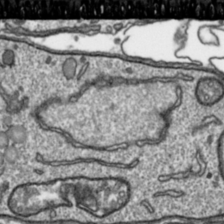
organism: Toxoplasma gondii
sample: Parasites in a vacuole inside a host cell